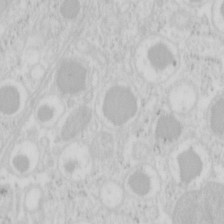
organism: Mouse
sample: Pancreas